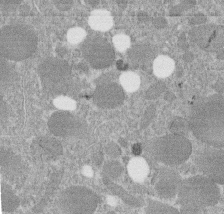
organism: C. elegans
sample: C. elegans embryo early stage